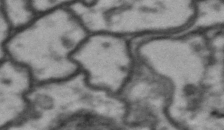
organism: Drosophila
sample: Brain